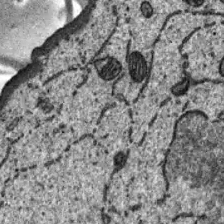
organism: Human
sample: HeLa cells